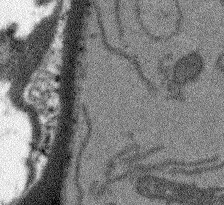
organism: Arabidopsis thaliana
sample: Root tip